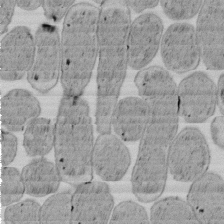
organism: E. coli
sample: Bacterial nucleoid